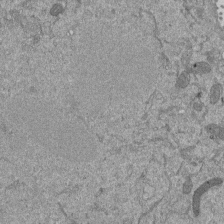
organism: Mouse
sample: ED-1 cell nuclei; centrioles